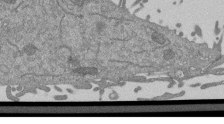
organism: Mouse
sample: ED-1 cell nuclei; centrioles